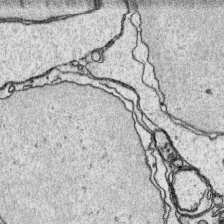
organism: Platynereis dumerilii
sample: Parapodia